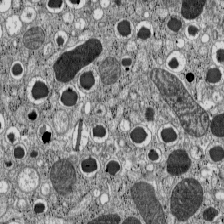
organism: C57BL Mouse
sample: Pancreatic islet